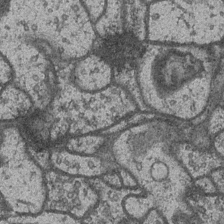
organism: Drosophila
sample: Optic medulla